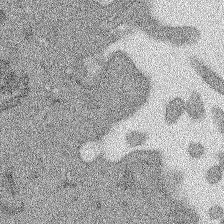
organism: Human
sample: HeLa cells